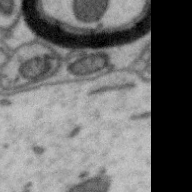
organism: Zebra finch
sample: Brain